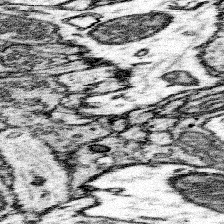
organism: Mouse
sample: Somatosensory cortex neuropil